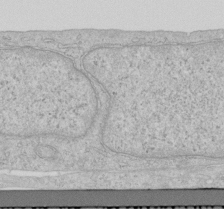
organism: Human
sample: Centriole in RPE cells